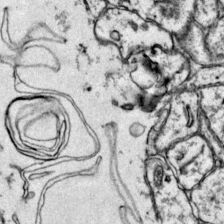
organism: Mouse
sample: Primary visual cortex